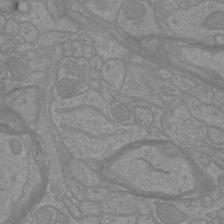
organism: Mouse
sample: Cortical neurons